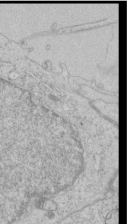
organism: Human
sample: Mitochondria in HCT116 cells